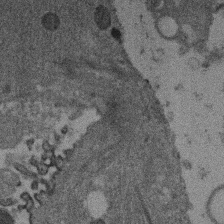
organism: Mouse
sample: Dividing mouse embryo 1 cell stage